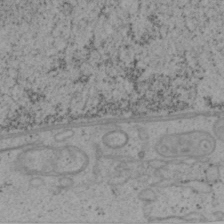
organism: Human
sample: HeLa cells